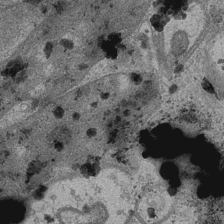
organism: Drosophila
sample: Optic medulla